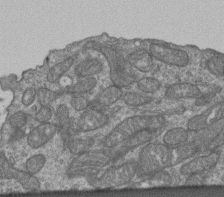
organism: Human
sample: Retinal organoid Rod and Cone cells